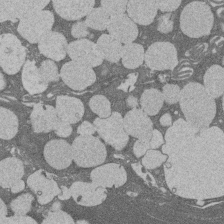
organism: Rat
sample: Salivary granule